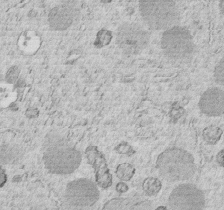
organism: C. elegans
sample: C. elegans embryo early stage